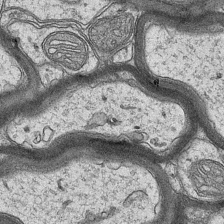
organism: Mouse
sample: CA1 Hippocampus